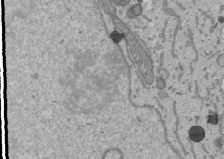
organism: Human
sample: Mitochondria in U2OS cells